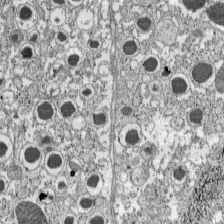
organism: C57BL Mouse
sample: Pancreatic islet